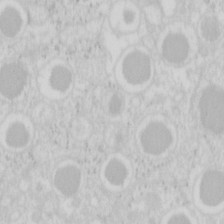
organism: Mouse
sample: Pancreas